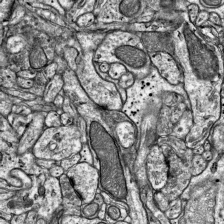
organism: Mouse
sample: Visual Cortex